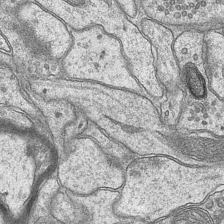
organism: Mouse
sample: CA1 Hippocampus